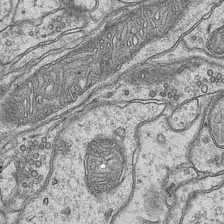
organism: Mouse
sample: CA1 Hippocampus